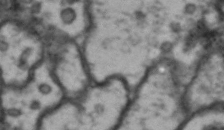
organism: Drosophila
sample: Brain